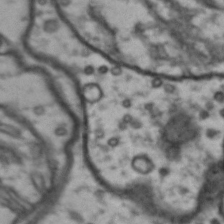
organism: Drosophila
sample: Brain